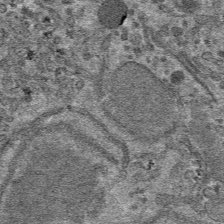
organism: Mouse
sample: Mouse hepatocytes